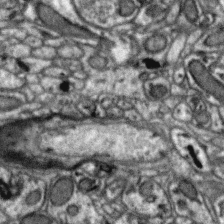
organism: Zebra finch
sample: Brain